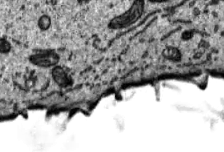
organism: Human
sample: HeLa cells